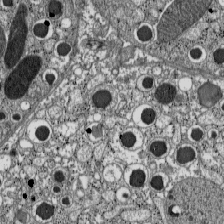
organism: C57BL Mouse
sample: Pancreatic islet